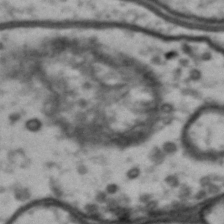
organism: Drosophila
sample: Brain